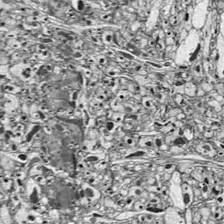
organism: Drosophila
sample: Optic lobe